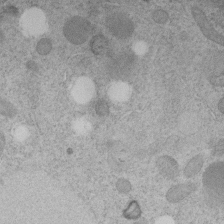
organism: C. elegans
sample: C. elegans embryo early stage